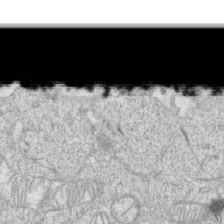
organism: Human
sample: HeLa cell HIV synapse